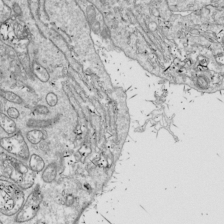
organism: Drosophila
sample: Cell division; meiosis; drosophila spermatocytes